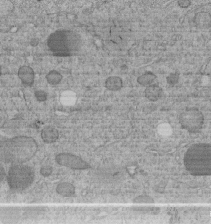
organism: C. elegans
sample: C. elegans embryo early stage